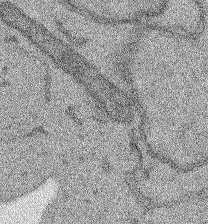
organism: Human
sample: HeLa cells